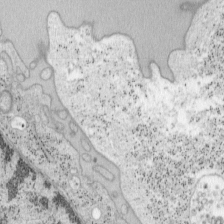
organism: Mouse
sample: OT-I killer T cells with ID8 ovarian cancer cells